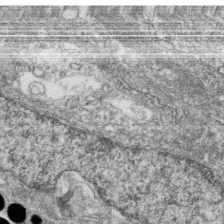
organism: Zebrafish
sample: Cilia; retinal pigment epithelium